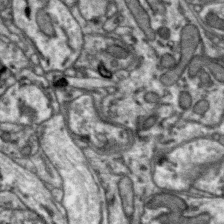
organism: Zebra finch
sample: Brain